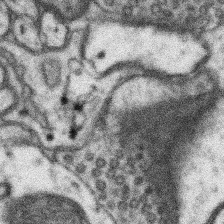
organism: Mouse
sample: Somatosensory cortex neuropil